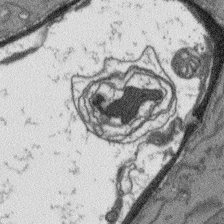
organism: Arabidopsis thaliana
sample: Root tip